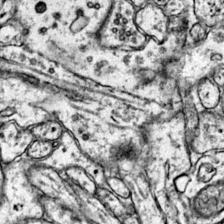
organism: Mouse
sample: Primary visual cortex